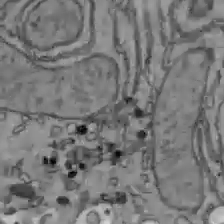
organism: C57BL Mouse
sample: Liver